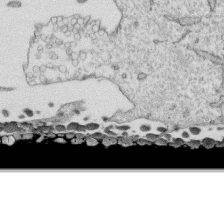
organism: Human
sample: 1205lu cells